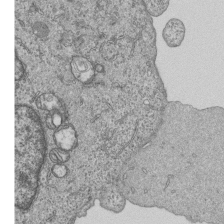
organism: Human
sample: MDA-MB-231 cells